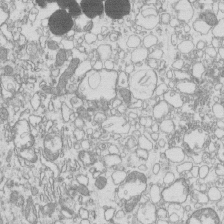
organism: Mouse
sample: Macrophages